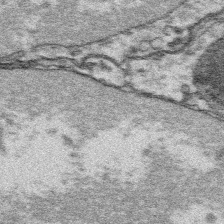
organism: Platynereis dumerilii